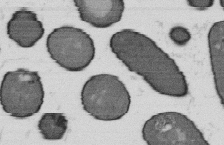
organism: B. subtilis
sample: Bacterial spore